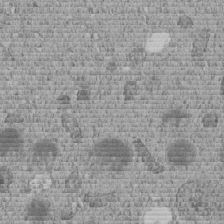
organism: C. elegans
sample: C. elegans embryo early stage